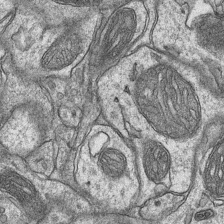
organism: Mouse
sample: CA1 Hippocampus